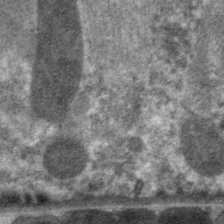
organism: C. elegans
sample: Pharynx